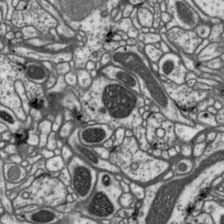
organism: Drosophila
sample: Protocerebral bridge